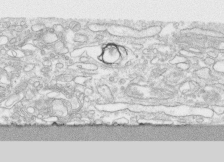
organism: Human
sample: CRL-1474